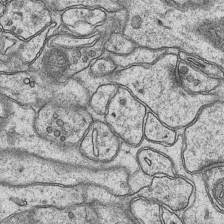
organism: Mouse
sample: CA1 Hippocampus